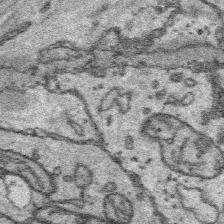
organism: Platynereis dumerilii